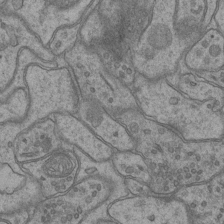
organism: Mouse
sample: CA1 Hippocampus